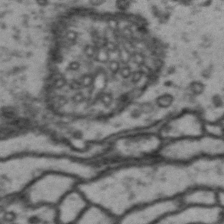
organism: Drosophila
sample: Brain